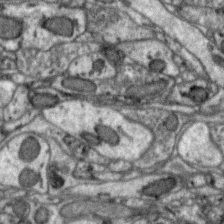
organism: Zebra finch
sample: Brain